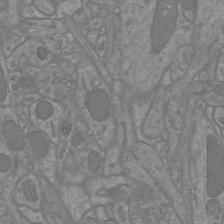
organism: Mouse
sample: Cortical neurons